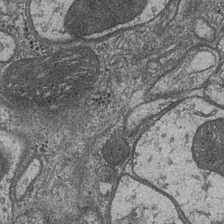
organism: Drosophila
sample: Optic medulla